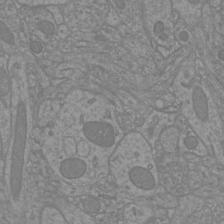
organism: Mouse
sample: Cortical neurons